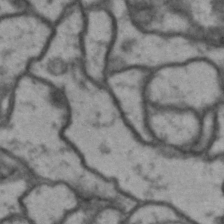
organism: Drosophila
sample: Brain